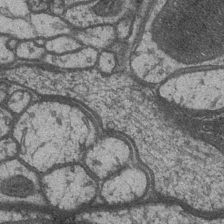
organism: Drosophila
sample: Optic medulla